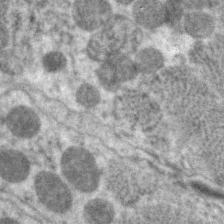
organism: C. elegans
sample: Pharynx